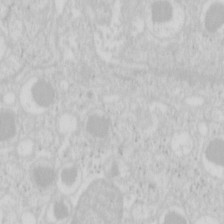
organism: Mouse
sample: Pancreas